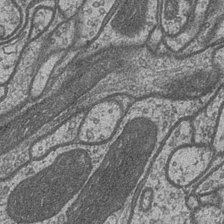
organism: Drosophila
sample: Optic medulla